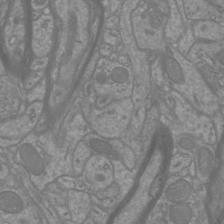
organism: Mouse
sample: Cortical neurons